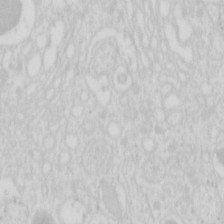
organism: Mouse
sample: Pancreas